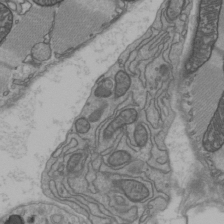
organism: C57BL Mouse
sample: Heart